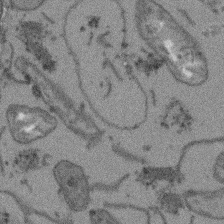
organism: Arabidopsis thaliana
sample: Root tip